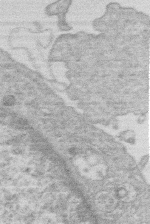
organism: Human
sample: Macrophage cells